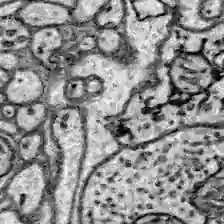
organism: Zebrafish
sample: Brain